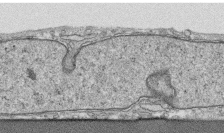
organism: Human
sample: CRL-1474